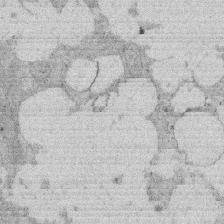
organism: Rat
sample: Salivary granule